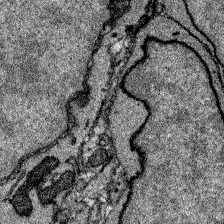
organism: Zebrafish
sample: Larval olfactory bulb